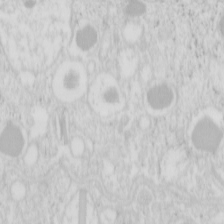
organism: Mouse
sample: Pancreas